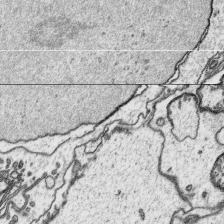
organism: Platynereis dumerilii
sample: Parapodia